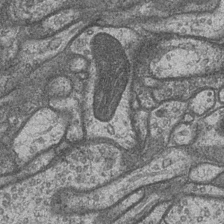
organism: Drosophila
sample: Optic medulla